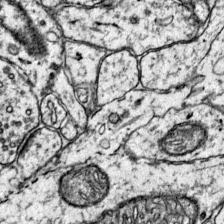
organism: Mouse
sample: Primary visual cortex